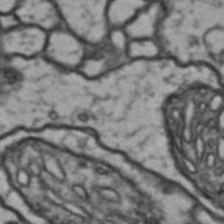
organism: Drosophila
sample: Brain